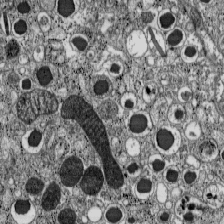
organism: C57BL Mouse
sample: Pancreatic islet